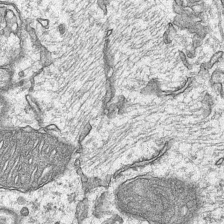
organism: Mouse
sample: CA1 Hippocampus